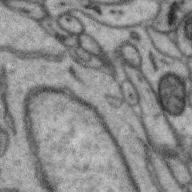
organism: Zebra finch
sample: Brain